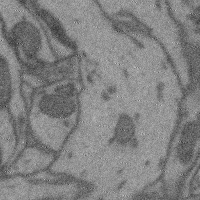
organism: Mouse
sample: Cerebral cortex